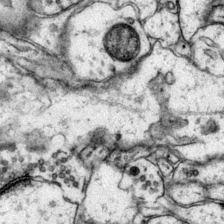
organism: Mouse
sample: Primary visual cortex